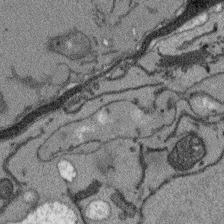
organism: Arabidopsis thaliana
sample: Root tip